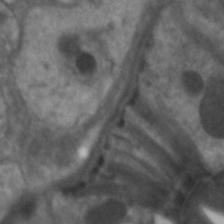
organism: C. elegans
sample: Pharynx